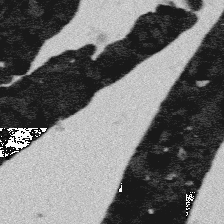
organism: Platynereis dumerilii